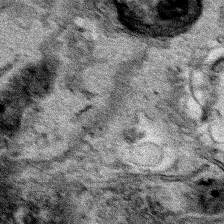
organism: Human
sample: Mitochondria in HCT116 cells